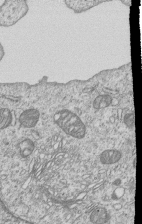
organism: Human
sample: MDA-MB-231 cells